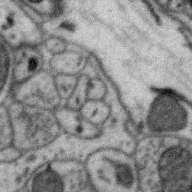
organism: Zebra finch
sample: Brain